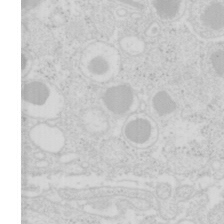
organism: Mouse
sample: Pancreas